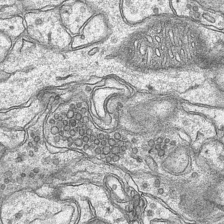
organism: Mouse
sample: CA1 Hippocampus